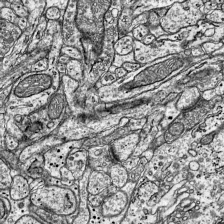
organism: Mouse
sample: Visual Cortex